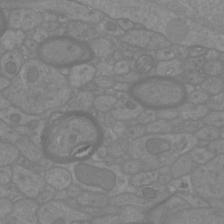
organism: Mouse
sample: Cortical neurons